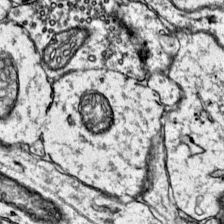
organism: Mouse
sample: Primary visual cortex